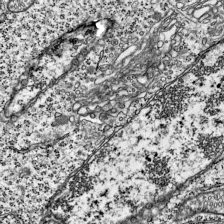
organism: Mouse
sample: Visual Cortex